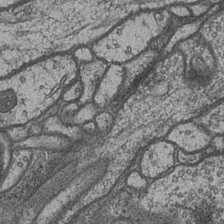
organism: Drosophila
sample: Optic medulla